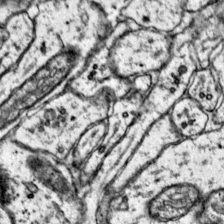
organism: Mouse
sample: Primary visual cortex